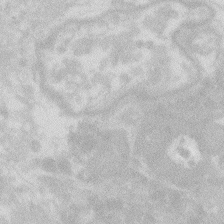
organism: Zebrafish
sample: Macrophage